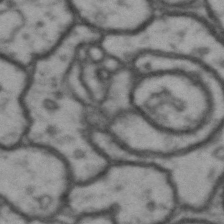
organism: Drosophila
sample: Brain